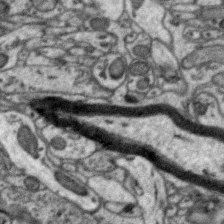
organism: Zebra finch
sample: Brain